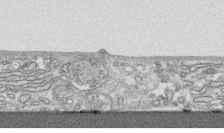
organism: Human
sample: CRL-1474